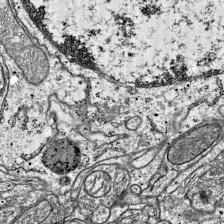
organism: Mouse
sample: Visual Cortex